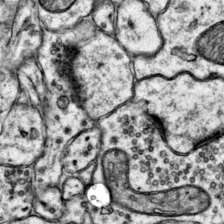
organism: Mouse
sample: Primary visual cortex